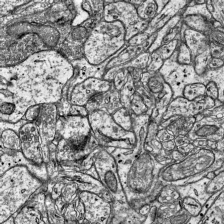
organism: Mouse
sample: Visual Cortex